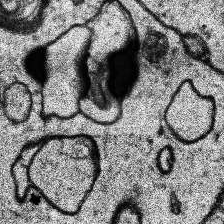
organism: Human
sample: Temporal Lobe